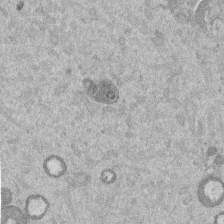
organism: Mouse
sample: Dividing mouse embryo 1 cell stage